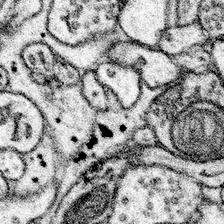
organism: Mouse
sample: Somatosensory cortex neuropil